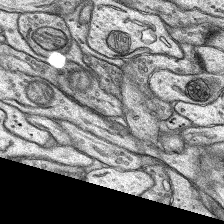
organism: Rat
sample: Hippocampus